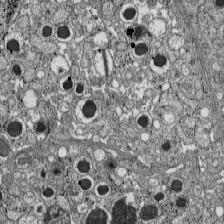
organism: C57BL Mouse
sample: Pancreatic islet